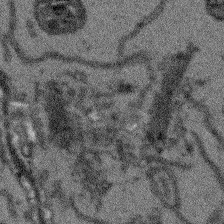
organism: Arabidopsis thaliana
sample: Root tip